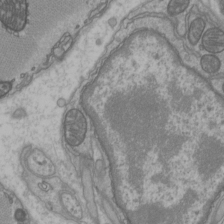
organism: C57BL Mouse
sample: Heart